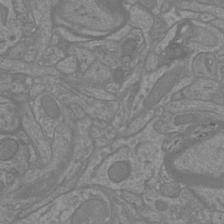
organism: Mouse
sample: Cortical neurons